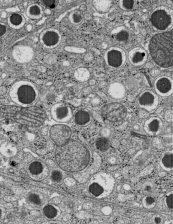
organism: C57BL Mouse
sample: Pancreatic islet